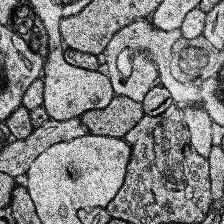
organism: Human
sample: Temporal Lobe